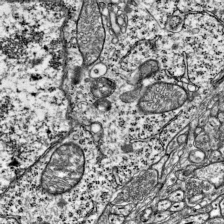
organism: Mouse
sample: Visual Cortex